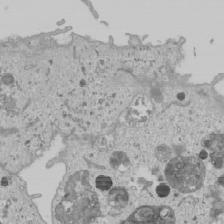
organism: Human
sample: Mitochondria in U2OS cells